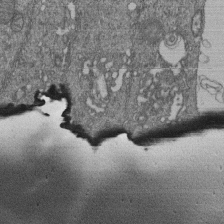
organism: Human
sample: Retinal organoid Rod and Cone cells